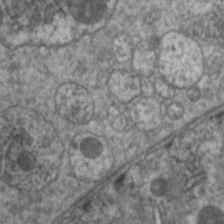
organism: C. elegans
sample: Pharynx